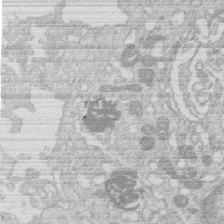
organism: Human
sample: Macrophage cells